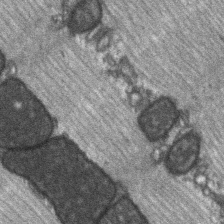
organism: C57BL Mouse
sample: Soleus